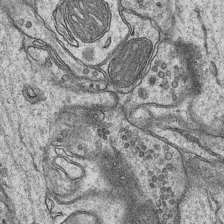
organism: Mouse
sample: CA1 Hippocampus